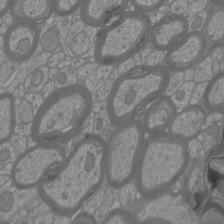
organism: Mouse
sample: Cortical neurons